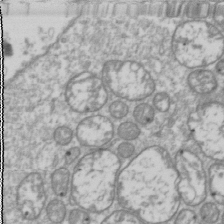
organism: Drosophila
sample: Cell division; meiosis; drosophila spermatocytes